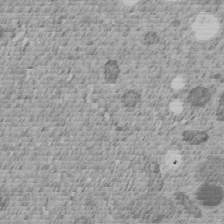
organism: C. elegans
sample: C. elegans embryo early stage